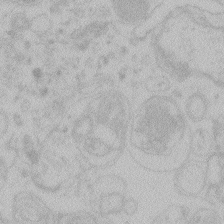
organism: Zebrafish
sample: Macrophage infected with Toxoplasma gondii